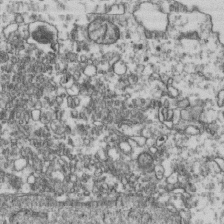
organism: Human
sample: Activated Jurkat CD4+ T cells